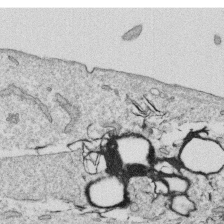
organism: Human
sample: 1205lu cells